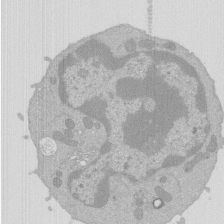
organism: Mouse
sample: Activated Pmel transgenic CD8+ T Cells